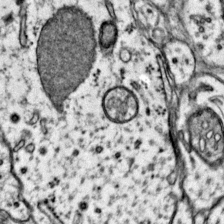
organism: Mouse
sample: Primary visual cortex